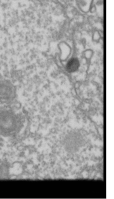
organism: Drosophila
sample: Cell division; meiosis; drosophila spermatocytes